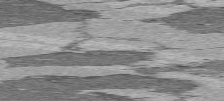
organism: C57BL Mouse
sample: Heart